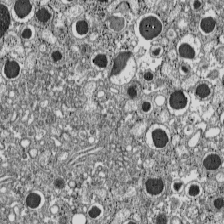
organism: C57BL Mouse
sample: Pancreatic islet